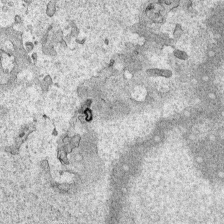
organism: Human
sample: Mitochondria in HCT116 cells